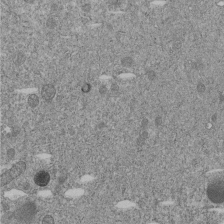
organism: C. elegans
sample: C. elegans embryo early stage